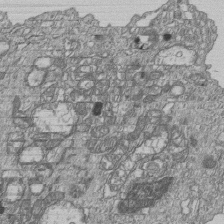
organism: Human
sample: MDA-MB-231 cells